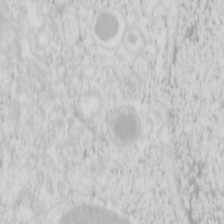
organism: Mouse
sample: Pancreas